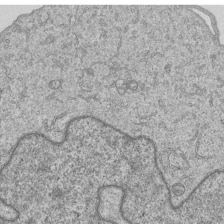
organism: Human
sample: MDA-MB-231 cells